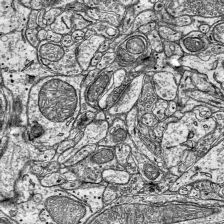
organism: Mouse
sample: Visual Cortex